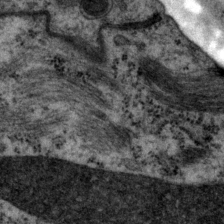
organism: P. pacificus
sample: Pharynx